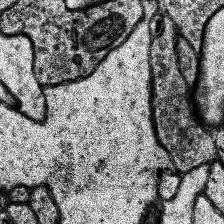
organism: Human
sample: Temporal Lobe